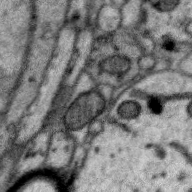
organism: Zebra finch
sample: Brain